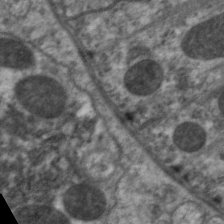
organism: C. elegans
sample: Pharynx